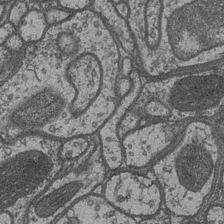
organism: Drosophila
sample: Optic medulla